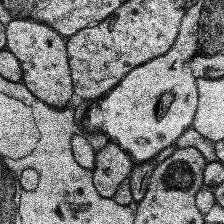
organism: Human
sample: Temporal Lobe